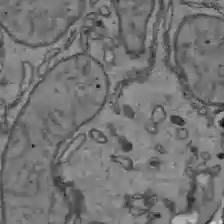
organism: C57BL Mouse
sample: Liver